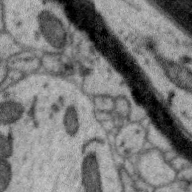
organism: Zebra finch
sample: Brain